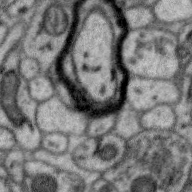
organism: Zebra finch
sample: Brain